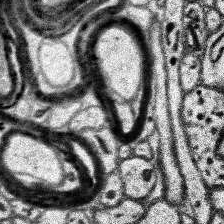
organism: Human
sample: Temporal Lobe